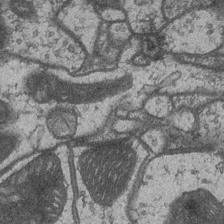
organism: Drosophila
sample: Optic medulla